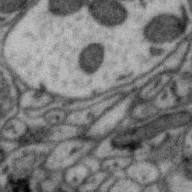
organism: Zebra finch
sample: Brain